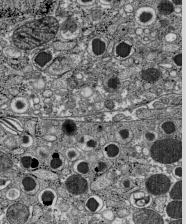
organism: C57BL Mouse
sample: Pancreatic islet